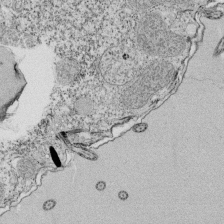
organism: Tetrahymena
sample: Cilia in tetrahymena